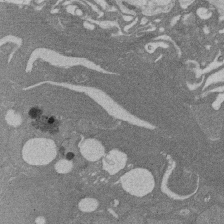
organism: Rat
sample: Salivary granule